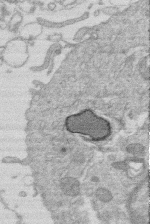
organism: Human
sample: Macrophage cells